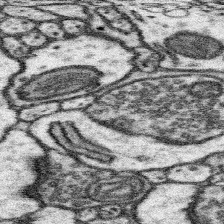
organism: Mouse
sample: Somatosensory cortex neuropil